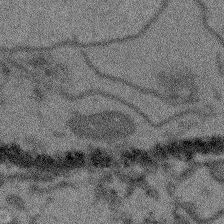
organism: Arabidopsis thaliana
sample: Root tip